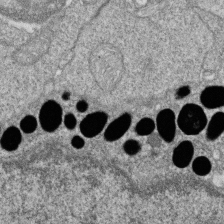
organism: Zebrafish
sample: Cilia; retinal pigment epithelium